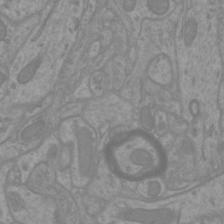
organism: Mouse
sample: Cortical neurons